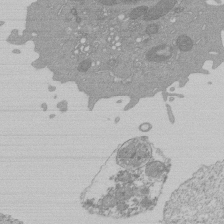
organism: Mouse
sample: Activated Pmel transgenic CD8+ T Cells